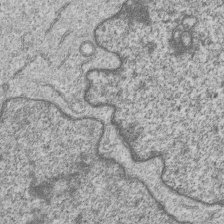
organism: Human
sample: MDA-MB-231 cells